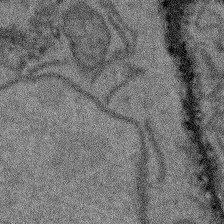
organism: Arabidopsis thaliana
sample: Root tip